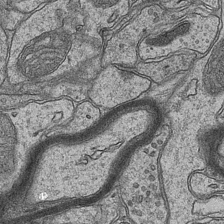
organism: Mouse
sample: CA1 Hippocampus